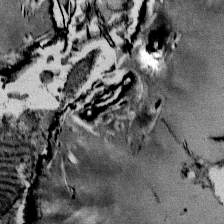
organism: Mouse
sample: Mouse Salivary gland